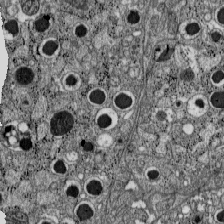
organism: C57BL Mouse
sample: Pancreatic islet